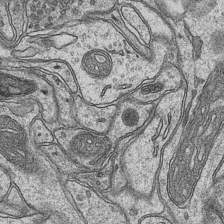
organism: Mouse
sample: CA1 Hippocampus